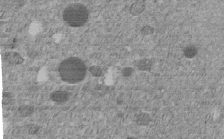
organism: C. elegans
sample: C. elegans embryo early stage